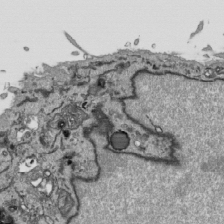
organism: Human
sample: Mitochondria in HCT116 cells